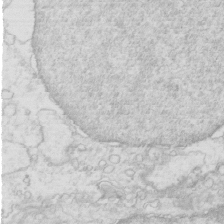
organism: Mouse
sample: Multiciliated cells